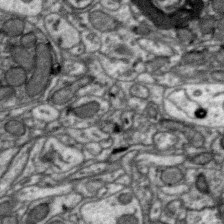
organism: Zebra finch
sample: Brain